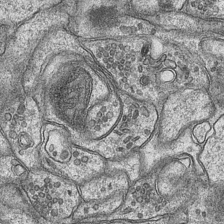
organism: Mouse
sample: CA1 Hippocampus